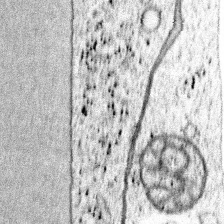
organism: Human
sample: HeLa cells